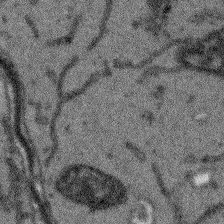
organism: Arabidopsis thaliana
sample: Root tip